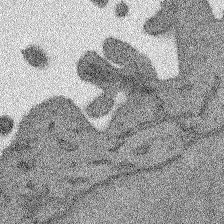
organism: Human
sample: HeLa cells